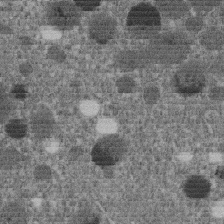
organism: C. elegans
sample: C. elegans embryo early stage